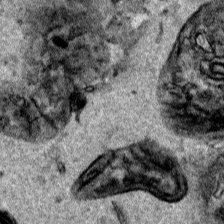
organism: Human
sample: Mitochondria in HCT116 cells